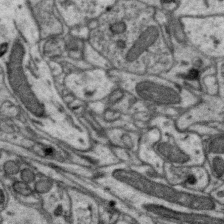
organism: Zebra finch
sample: Brain